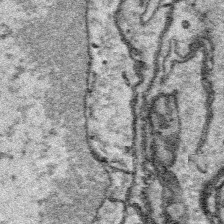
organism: Platynereis dumerilii